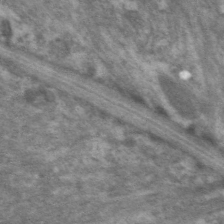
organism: C. elegans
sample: Pharynx